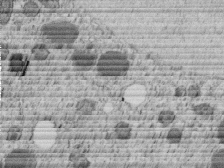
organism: C. elegans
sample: C. elegans embryo early stage